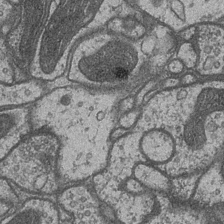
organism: Drosophila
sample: Optic medulla